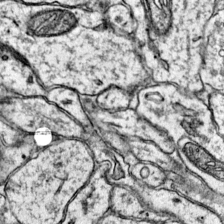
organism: Mouse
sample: Primary visual cortex